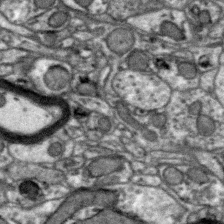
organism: Zebra finch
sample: Brain